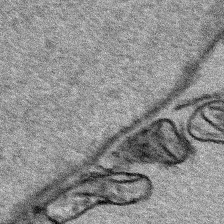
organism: Human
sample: Mitochondria in HCT116 cells